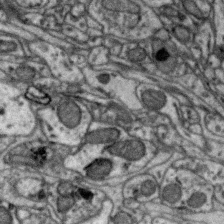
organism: Zebra finch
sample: Brain